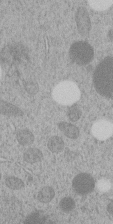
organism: C. elegans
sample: C. elegans embryo early stage